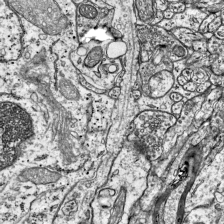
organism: Mouse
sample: Visual Cortex